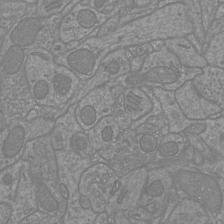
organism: Mouse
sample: Cortical neurons